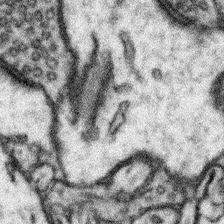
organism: Mouse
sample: Somatosensory cortex neuropil